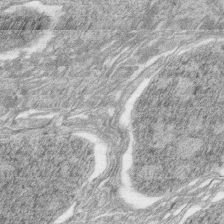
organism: Zebrafish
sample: synaptic ribbons in rod cells and cone cells